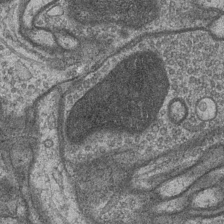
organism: Drosophila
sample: Optic medulla